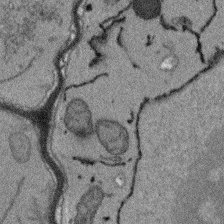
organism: Arabidopsis thaliana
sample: Root tip